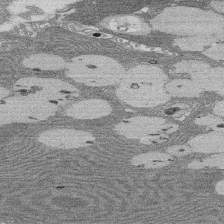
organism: Rat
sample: Salivary granule